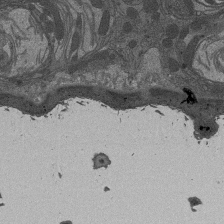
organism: Drosophila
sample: Antenna